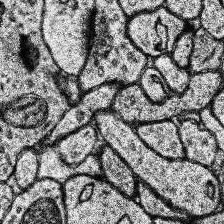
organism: Human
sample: Temporal Lobe